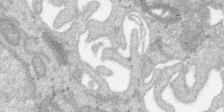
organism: Human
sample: Lung epithelial cells infected with SARS-CoV-2